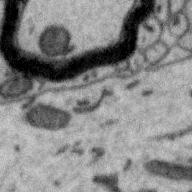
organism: Zebra finch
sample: Brain